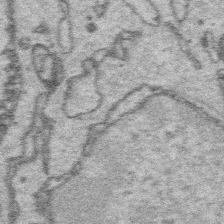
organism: Platynereis dumerilii